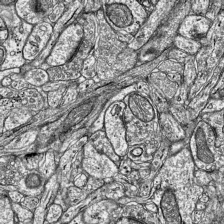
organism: Mouse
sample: Visual Cortex